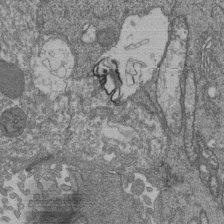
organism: Human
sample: Retinal organoid Rod and Cone cells